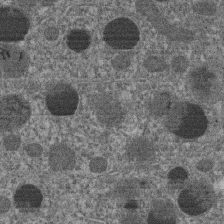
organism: C. elegans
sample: C. elegans embryo early stage